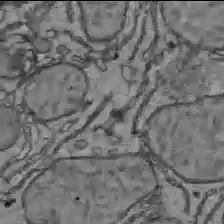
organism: C57BL Mouse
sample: Liver